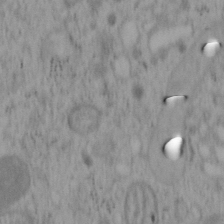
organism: Mouse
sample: OT-I killer T cells with ID8 ovarian cancer cells